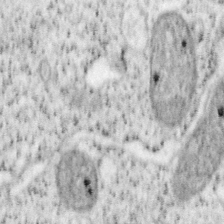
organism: Mouse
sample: OT-I killer T cells with ID8 ovarian cancer cells